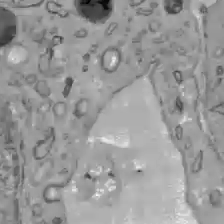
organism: C57BL Mouse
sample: Liver